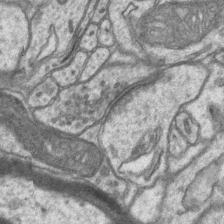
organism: Mouse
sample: CA1 Hippocampus